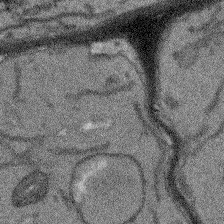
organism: Arabidopsis thaliana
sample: Root tip